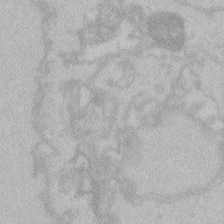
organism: Zebrafish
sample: Macrophage infected with Toxoplasma gondii